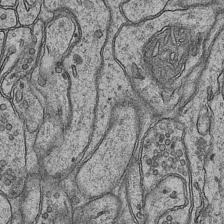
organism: Mouse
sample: CA1 Hippocampus